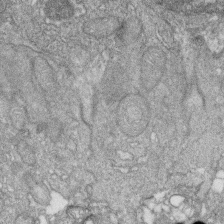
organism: Zebrafish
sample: Cilia; retinal pigment epithelium